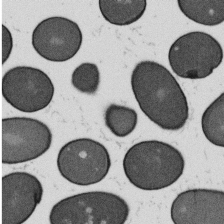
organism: B. subtilis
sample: Bacterial spore